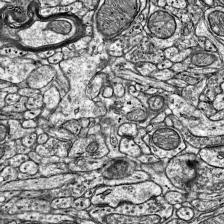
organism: Mouse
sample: Visual Cortex